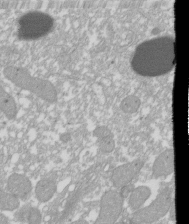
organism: Xenopus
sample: Cilia; centrioles in frog embryo cells